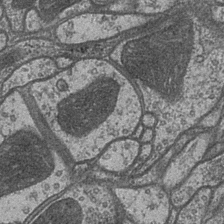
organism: Drosophila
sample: Optic medulla